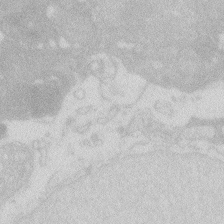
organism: Zebrafish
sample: Macrophage